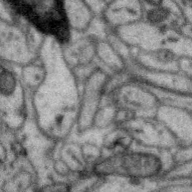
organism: Zebra finch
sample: Brain